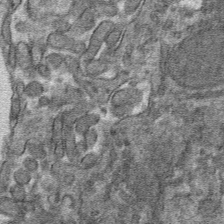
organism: Mouse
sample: Mouse hepatocytes